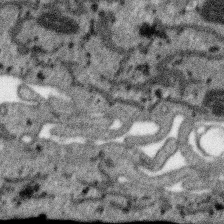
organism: Human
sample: Lung epithelial cells infected with SARS-CoV-2